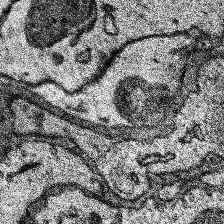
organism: Human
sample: Temporal Lobe